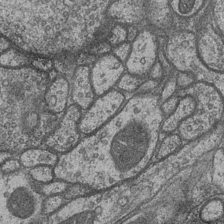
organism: Drosophila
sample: Optic medulla